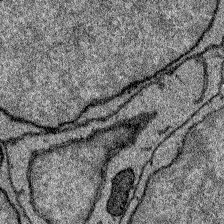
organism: Zebrafish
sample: Larval olfactory bulb